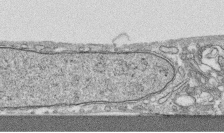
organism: Human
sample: CRL-1474